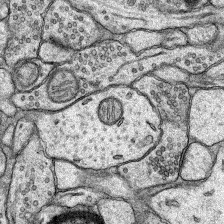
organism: Rat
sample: Hippocampus